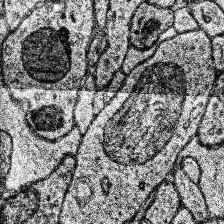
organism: Human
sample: Temporal Lobe